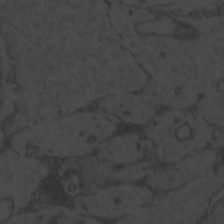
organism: Zebrafish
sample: Macrophage infected with Toxoplasma gondii